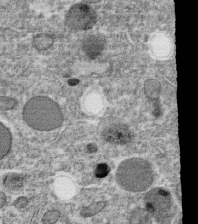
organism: C. elegans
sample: C. elegans oocyte; sperm cells